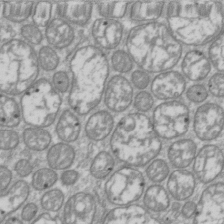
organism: Drosophila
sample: Cell division; meiosis; drosophila spermatocytes